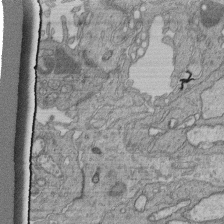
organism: Human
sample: Retinal organoid Rod and Cone cells